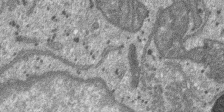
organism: Human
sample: Lung epithelial cells infected with SARS-CoV-2